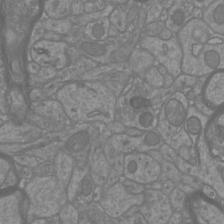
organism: Mouse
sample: Cortical neurons